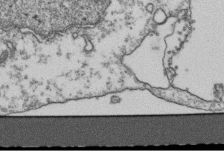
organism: Human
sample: Activated Jurkat CD4+ T cells